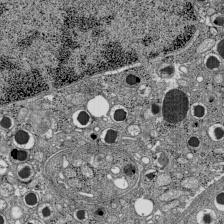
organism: C57BL Mouse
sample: Pancreatic islet